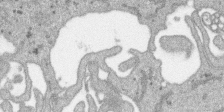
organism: Human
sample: Lung epithelial cells infected with SARS-CoV-2